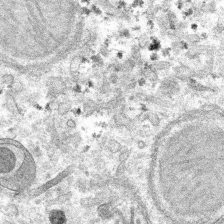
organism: Mouse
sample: Mouse hepatocytes